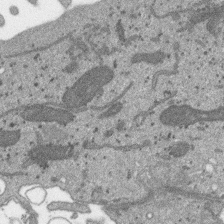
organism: Human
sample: Lung epithelial cells infected with SARS-CoV-2